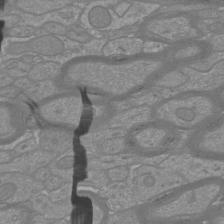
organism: Mouse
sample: Cortical neurons